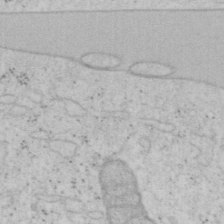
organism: Human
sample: HeLa cells